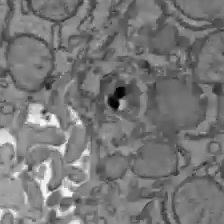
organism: C57BL Mouse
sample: Liver